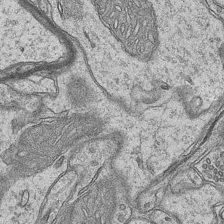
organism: Mouse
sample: CA1 Hippocampus